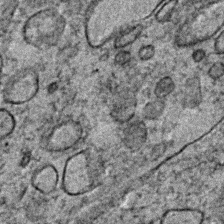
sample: Trachea